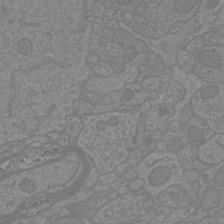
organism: Mouse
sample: Cortical neurons